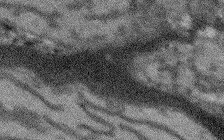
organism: Arabidopsis thaliana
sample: Root tip